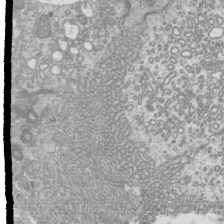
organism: Mouse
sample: Cilia; mouse epididymis